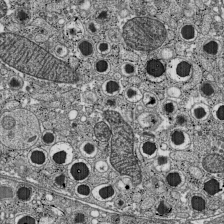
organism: C57BL Mouse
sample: Pancreatic islet